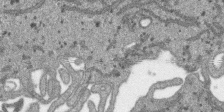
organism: Human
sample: Lung epithelial cells infected with SARS-CoV-2